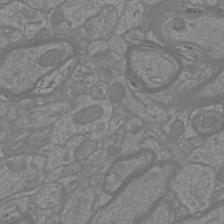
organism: Mouse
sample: Cortical neurons